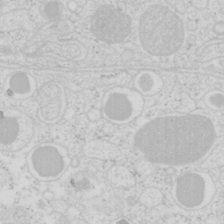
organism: Mouse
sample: Pancreas